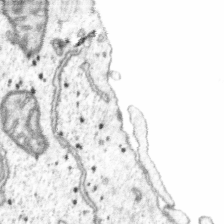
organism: Human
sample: HeLa cells